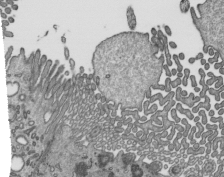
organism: Mouse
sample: Mouse epididymis efferent ductule cilia